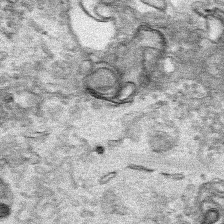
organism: Human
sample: Mitochondria in HCT116 cells